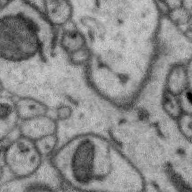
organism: Zebra finch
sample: Brain